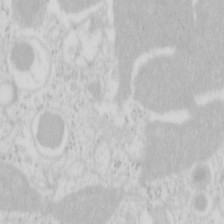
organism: Mouse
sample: Pancreas